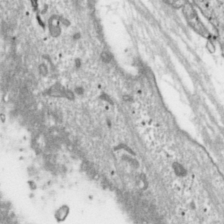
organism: Toxoplasma gondii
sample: Parasites in a vacuole inside a host cell